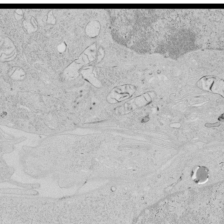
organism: Human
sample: Mitochondria in HCT116 cells